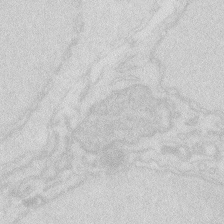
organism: Zebrafish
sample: Macrophage